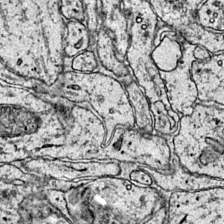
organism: Mouse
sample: Primary visual cortex